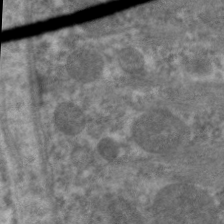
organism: C. elegans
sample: Pharynx